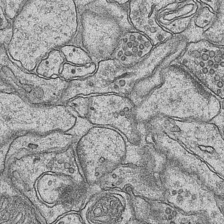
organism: Mouse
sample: CA1 Hippocampus